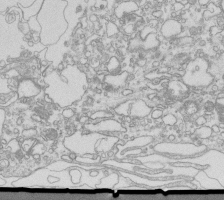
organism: Mouse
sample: Macrophages